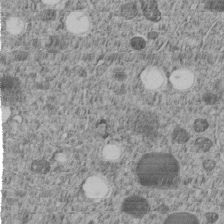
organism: C. elegans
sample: C. elegans embryo early stage